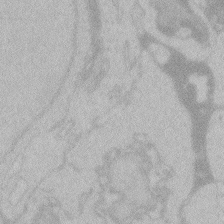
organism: Zebrafish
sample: Macrophage infected with Toxoplasma gondii